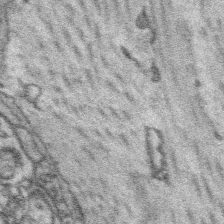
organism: Platynereis dumerilii